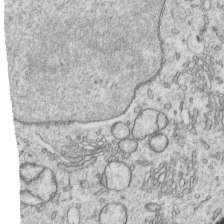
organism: Human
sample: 1205lu cells